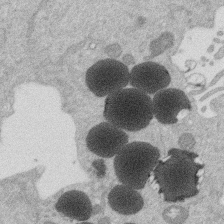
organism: Mouse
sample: Dividing mouse embryo 1 cell stage